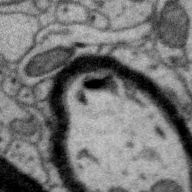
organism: Zebra finch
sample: Brain